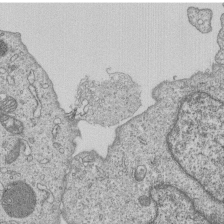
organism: Human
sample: MDA-MB-231 cells